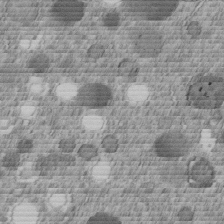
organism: C. elegans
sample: C. elegans embryo early stage